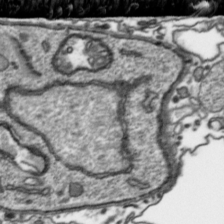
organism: Toxoplasma gondii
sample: Parasites in a vacuole inside a host cell